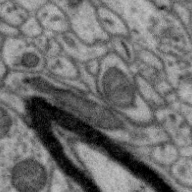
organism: Zebra finch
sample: Brain